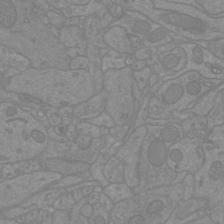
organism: Mouse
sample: Cortical neurons